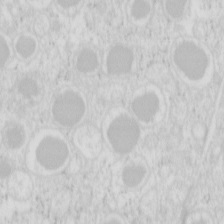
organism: Mouse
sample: Pancreas